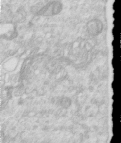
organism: Human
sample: Centriole in RPE cells